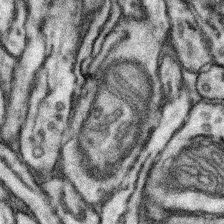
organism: Mouse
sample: Somatosensory cortex neuropil